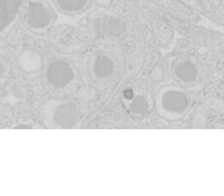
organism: Mouse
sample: Pancreas